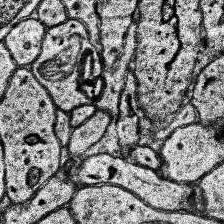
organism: Human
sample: Temporal Lobe